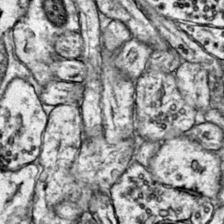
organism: Mouse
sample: Primary visual cortex